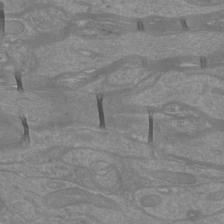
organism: Mouse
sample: Cortical neurons